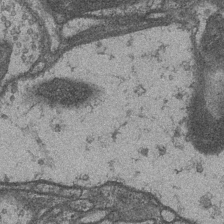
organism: Drosophila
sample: Optic medulla